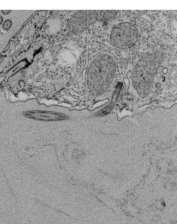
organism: Tetrahymena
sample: Cilia in tetrahymena